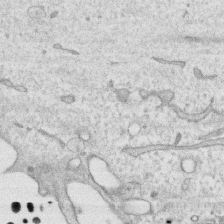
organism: Human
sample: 1205lu cells